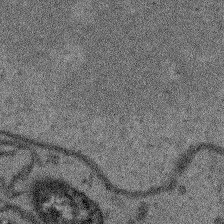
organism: Arabidopsis thaliana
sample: Root tip